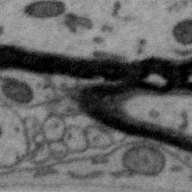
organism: Zebra finch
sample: Brain